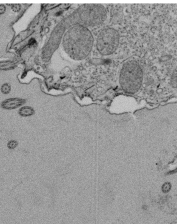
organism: Tetrahymena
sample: Cilia in tetrahymena